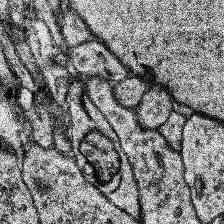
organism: Human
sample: Temporal Lobe